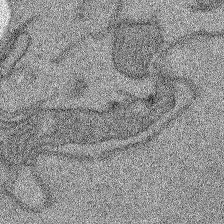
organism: Human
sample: HeLa cells